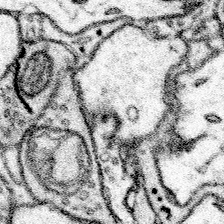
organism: Mouse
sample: Somatosensory cortex neuropil